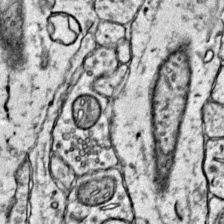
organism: Mouse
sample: Primary visual cortex